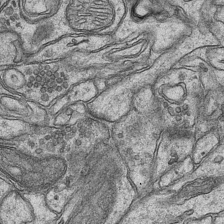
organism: Mouse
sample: CA1 Hippocampus